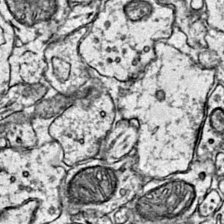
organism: Mouse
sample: Primary visual cortex